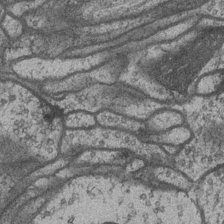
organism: Drosophila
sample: Optic medulla